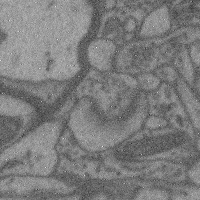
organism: Mouse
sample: Cerebral cortex